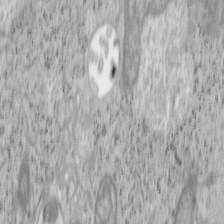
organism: Human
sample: HeLa cells